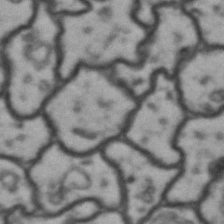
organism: Drosophila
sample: Brain